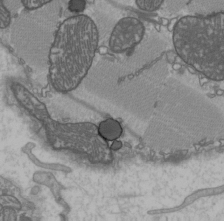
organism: C57BL Mouse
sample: Heart